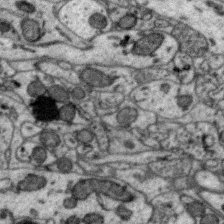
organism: Zebra finch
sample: Brain